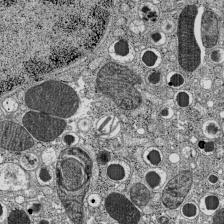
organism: C57BL Mouse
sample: Pancreatic islet